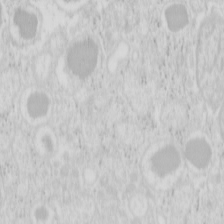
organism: Mouse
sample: Pancreas